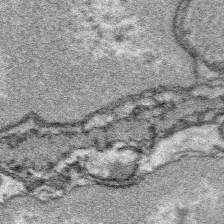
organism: Platynereis dumerilii